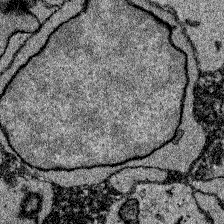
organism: Zebrafish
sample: Larval olfactory bulb